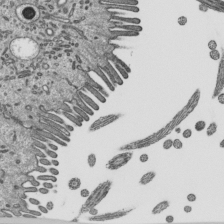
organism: Mouse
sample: Mouse epididymis efferent ductule cilia